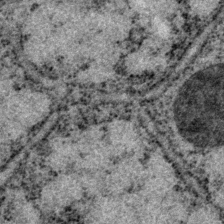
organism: P. pacificus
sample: Pharynx